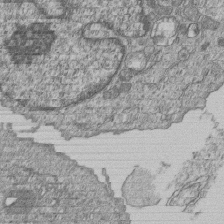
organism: Human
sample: MDA-MB-231 cells